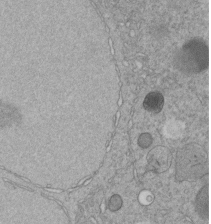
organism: C. elegans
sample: C. elegans embryo early stage